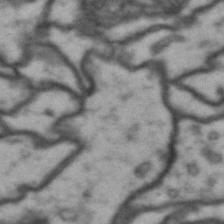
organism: Drosophila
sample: Brain